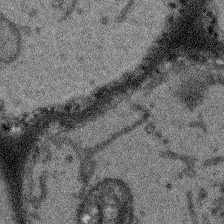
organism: Arabidopsis thaliana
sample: Root tip